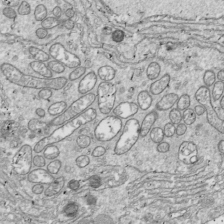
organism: Drosophila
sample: Cell division; meiosis; drosophila spermatocytes